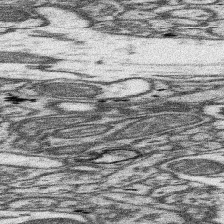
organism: Mouse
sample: Somatosensory cortex neuropil